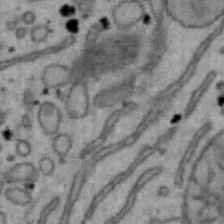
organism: Mouse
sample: Liver